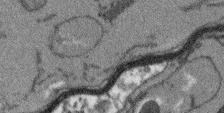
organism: Arabidopsis thaliana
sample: Root tip